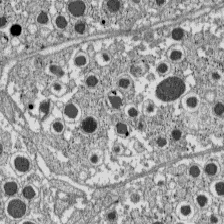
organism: C57BL Mouse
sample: Pancreatic islet